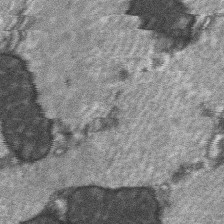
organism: C57BL Mouse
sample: Soleus